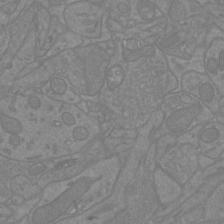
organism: Mouse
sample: Cortical neurons